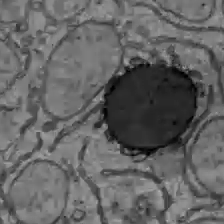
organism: C57BL Mouse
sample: Liver